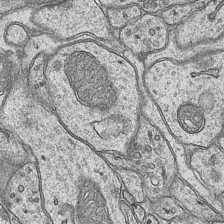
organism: Mouse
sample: CA1 Hippocampus